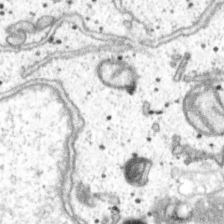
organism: Human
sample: HeLa cells